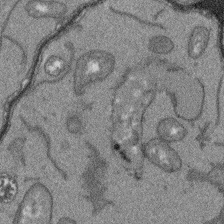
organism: Arabidopsis thaliana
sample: Root tip